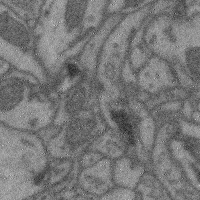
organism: Mouse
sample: Cerebral cortex